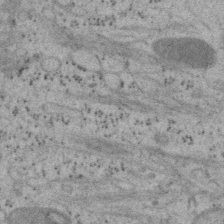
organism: Human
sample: HeLa cells